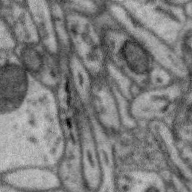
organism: Zebra finch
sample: Brain